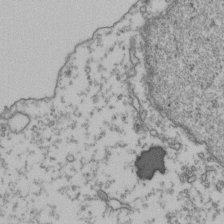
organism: Human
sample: Activated Jurkat CD4+ T cells